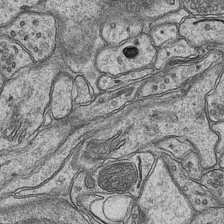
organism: Mouse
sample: CA1 Hippocampus